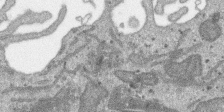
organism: Human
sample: Lung epithelial cells infected with SARS-CoV-2